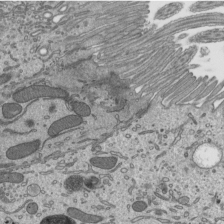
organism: Mouse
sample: Mouse epididymis efferent ductule cilia